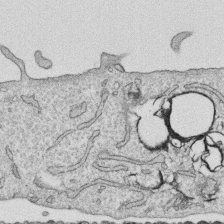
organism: Human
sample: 1205lu cells